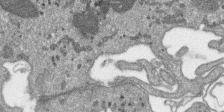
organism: Human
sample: Lung epithelial cells infected with SARS-CoV-2